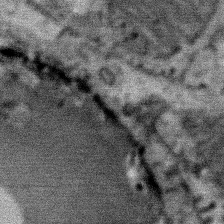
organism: Mouse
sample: Mouse Salivary gland